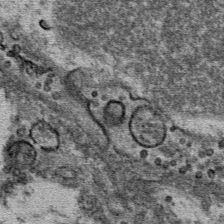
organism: Mouse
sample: Mouse Salivary gland